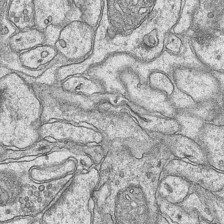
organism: Mouse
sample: CA1 Hippocampus